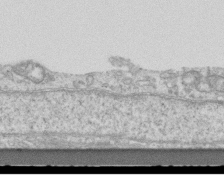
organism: Mouse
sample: Centriole in ependymal cells